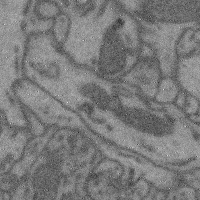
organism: Mouse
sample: Cerebral cortex